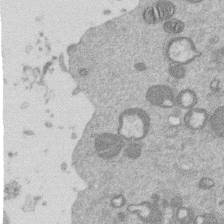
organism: Mouse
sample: Dividing mouse embryo 1 cell stage